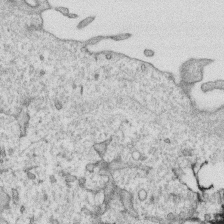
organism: Human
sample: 1205lu cells